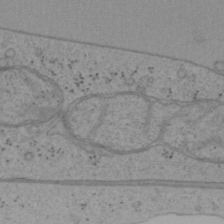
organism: Human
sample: HeLa cells